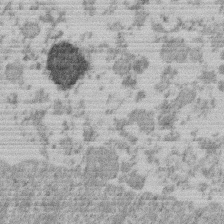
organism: Mouse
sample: Dividing mouse embryo 1 cell stage